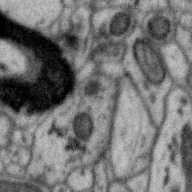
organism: Zebra finch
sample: Brain